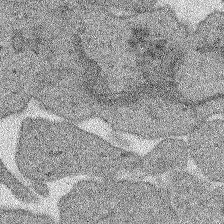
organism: Human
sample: HeLa cells